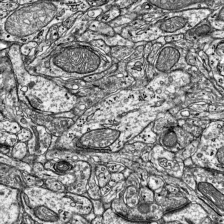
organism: Mouse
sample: Visual Cortex